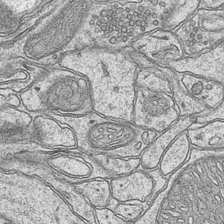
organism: Mouse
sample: CA1 Hippocampus